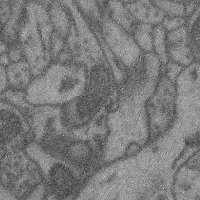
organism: Mouse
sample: Cerebral cortex